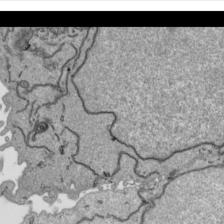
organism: Human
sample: Mitochondria in HCT116 cells